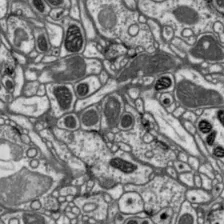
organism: Drosophila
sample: Protocerebral bridge